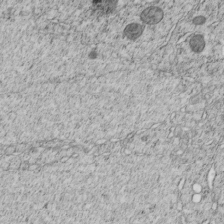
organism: C. elegans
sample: C. elegans embryo early stage